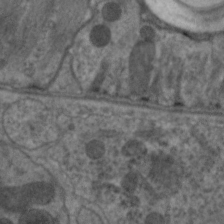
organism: C. elegans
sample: Pharynx